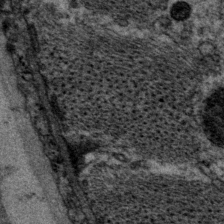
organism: P. pacificus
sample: Pharynx